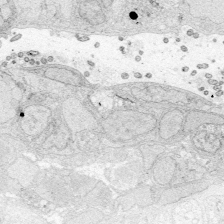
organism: Zebrafish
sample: Whole-Brain